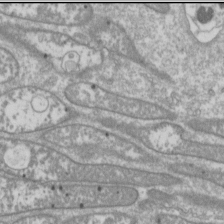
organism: Drosophila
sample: Cell division; meiosis; drosophila spermatocytes